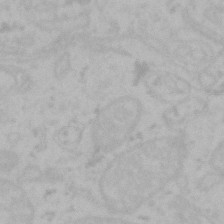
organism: Mouse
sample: Choroid plexus